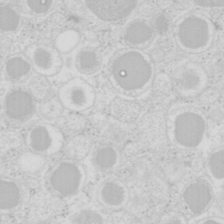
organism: Mouse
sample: Pancreas